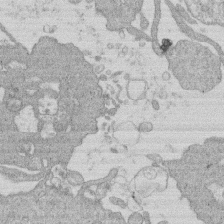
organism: Human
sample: Macrophage cells